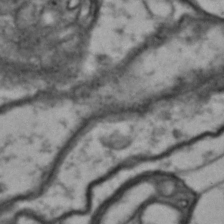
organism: Drosophila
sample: Brain